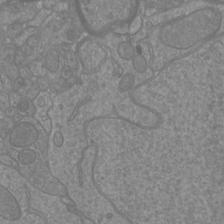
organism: Mouse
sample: Cortical neurons